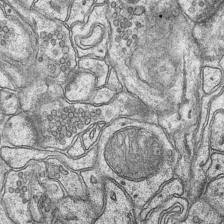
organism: Mouse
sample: CA1 Hippocampus